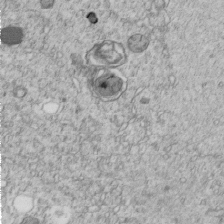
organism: C. elegans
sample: C. elegans embryo early stage